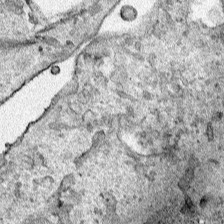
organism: Human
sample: Mitochondria in HCT116 cells